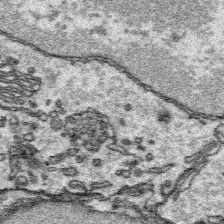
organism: Platynereis dumerilii